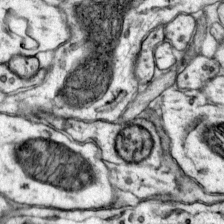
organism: Mouse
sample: Primary visual cortex